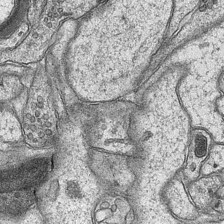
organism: Mouse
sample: CA1 Hippocampus